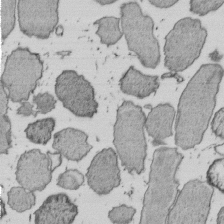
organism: E. coli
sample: Bacterial nucleoid